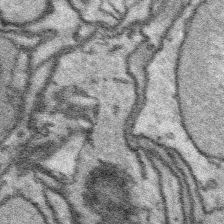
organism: Platynereis dumerilii